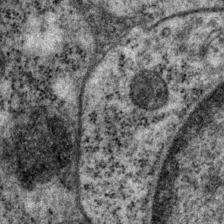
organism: P. pacificus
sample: Pharynx